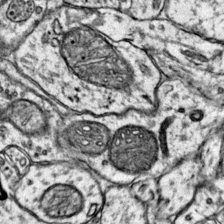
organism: Mouse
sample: Primary visual cortex